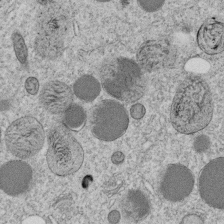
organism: C. elegans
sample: C. elegans embryo early stage